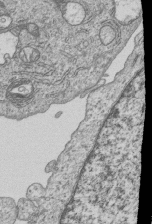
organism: Human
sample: MDA-MB-231 cells